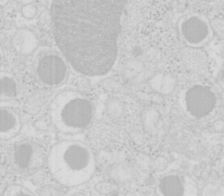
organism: Mouse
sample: Pancreas